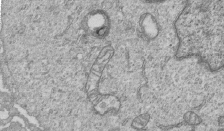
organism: Human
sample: MDA-MB-231 cells